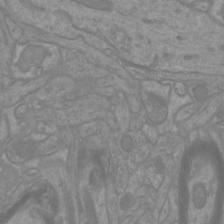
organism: Mouse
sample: Cortical neurons